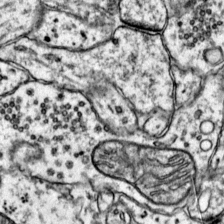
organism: Mouse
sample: Primary visual cortex